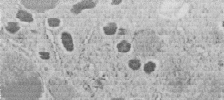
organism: C. elegans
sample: C. elegans embryo early stage